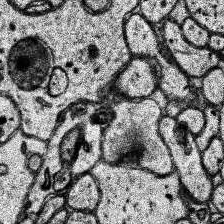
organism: Human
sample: Temporal Lobe